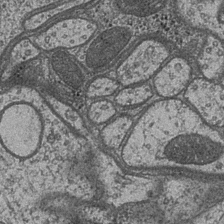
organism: Drosophila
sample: Optic medulla